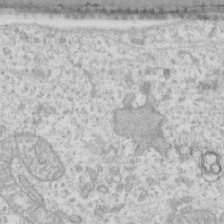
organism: Human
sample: Fibroblast cells